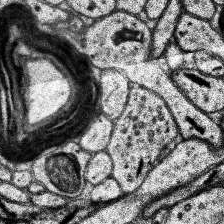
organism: Human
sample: Temporal Lobe